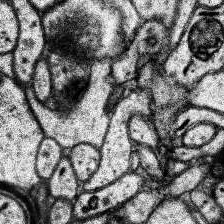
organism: Human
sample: Temporal Lobe